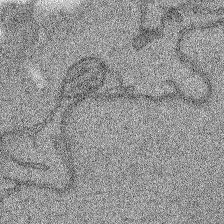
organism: Human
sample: HeLa cells